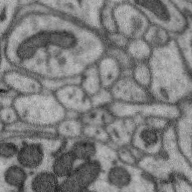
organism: Zebra finch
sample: Brain